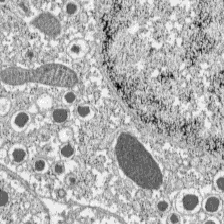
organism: C57BL Mouse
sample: Pancreatic islet